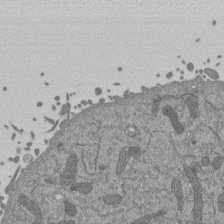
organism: Mouse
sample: ED-1 cell nuclei; centrioles